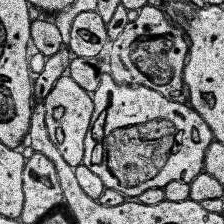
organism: Human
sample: Temporal Lobe